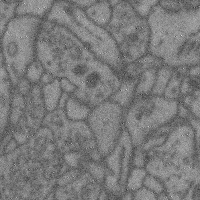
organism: Mouse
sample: Cerebral cortex